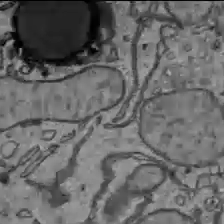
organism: C57BL Mouse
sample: Liver